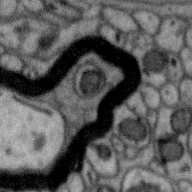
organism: Zebra finch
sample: Brain